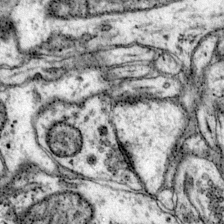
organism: Mouse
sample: Primary visual cortex